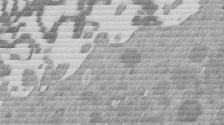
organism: Mouse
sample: Dividing mouse embryo 1 cell stage